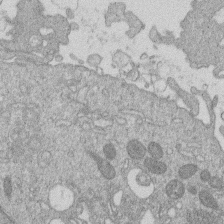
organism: Human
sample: Macrophage cells